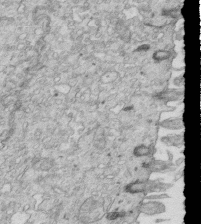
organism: Mouse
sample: Multiciliated cells